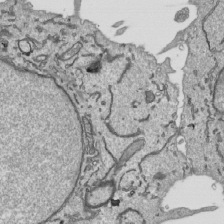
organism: Human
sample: Mitochondria in HCT116 cells